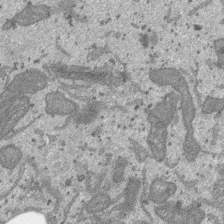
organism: Human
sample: Lung epithelial cells infected with SARS-CoV-2